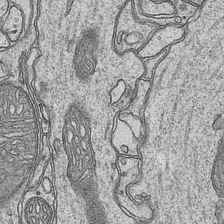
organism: Mouse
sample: CA1 Hippocampus